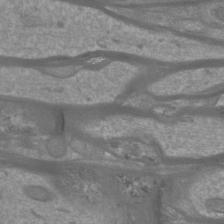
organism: Mouse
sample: Cortical neurons